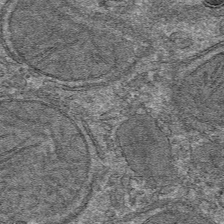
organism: Mouse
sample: Mouse hepatocytes